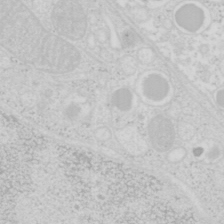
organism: Mouse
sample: Pancreas